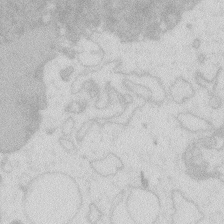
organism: Zebrafish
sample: Macrophage